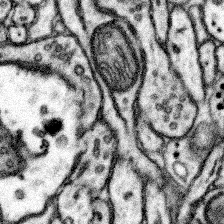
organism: Mouse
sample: Somatosensory cortex neuropil